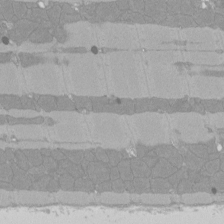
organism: Rat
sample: Left ventricle